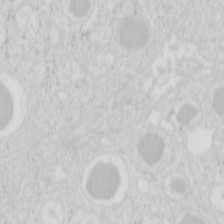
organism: Mouse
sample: Pancreas